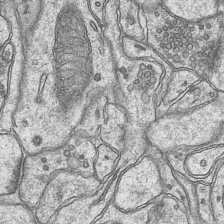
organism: Mouse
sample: CA1 Hippocampus